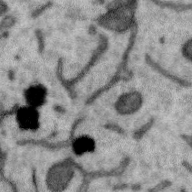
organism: Zebra finch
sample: Brain